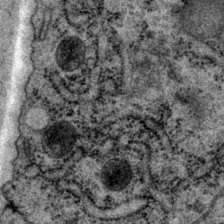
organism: P. pacificus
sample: Pharynx